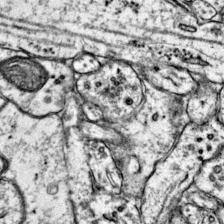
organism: Mouse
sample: Primary visual cortex